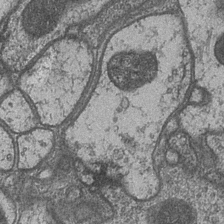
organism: Drosophila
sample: Optic medulla